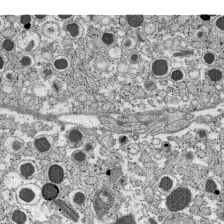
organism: C57BL Mouse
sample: Pancreatic islet